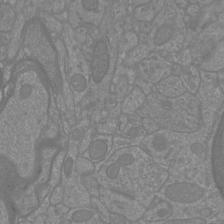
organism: Mouse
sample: Cortical neurons